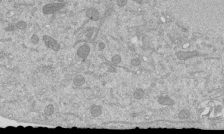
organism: Mouse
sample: ED-1 cell nuclei; centrioles